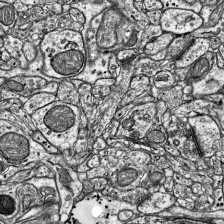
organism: Mouse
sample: Visual Cortex